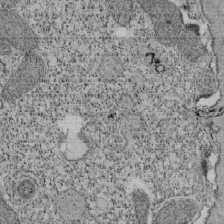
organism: Tetrahymena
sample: Cilia in tetrahymena